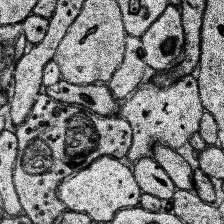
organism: Human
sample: Temporal Lobe